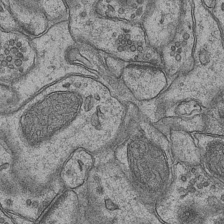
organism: Mouse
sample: CA1 Hippocampus